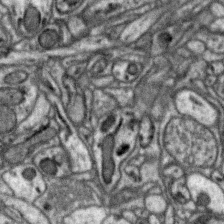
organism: Zebra finch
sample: Brain